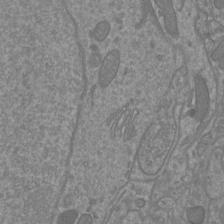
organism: Mouse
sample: Cortical neurons